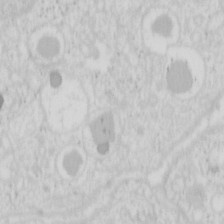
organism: Mouse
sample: Pancreas